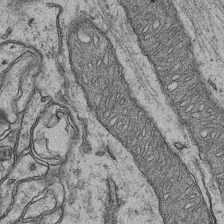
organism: Mouse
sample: CA1 Hippocampus